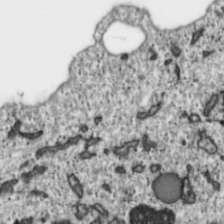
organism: Toxoplasma gondii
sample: Parasites in a vacuole inside a host cell